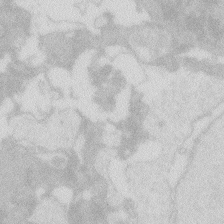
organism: Zebrafish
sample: Macrophage